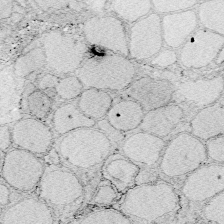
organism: Zebrafish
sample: Whole-Brain